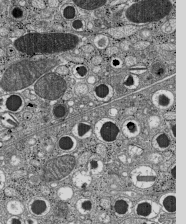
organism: C57BL Mouse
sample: Pancreatic islet